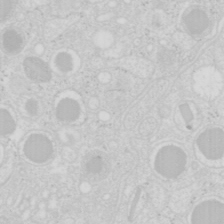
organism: Mouse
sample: Pancreas